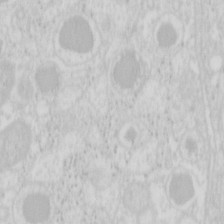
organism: Mouse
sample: Pancreas